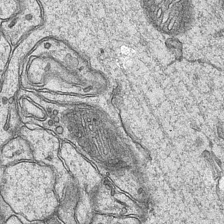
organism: Mouse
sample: CA1 Hippocampus